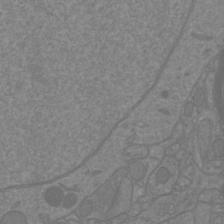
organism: Mouse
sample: Cortical neurons